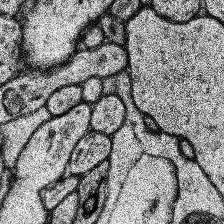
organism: Human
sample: Temporal Lobe